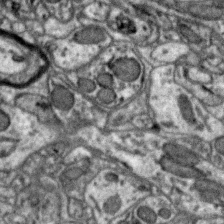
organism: Zebra finch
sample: Brain